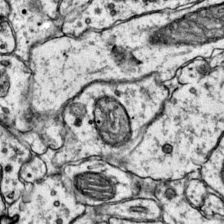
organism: Mouse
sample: Primary visual cortex